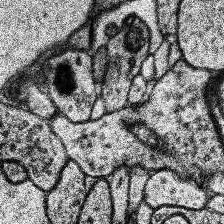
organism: Human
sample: Temporal Lobe